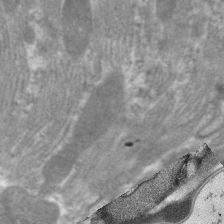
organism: C. elegans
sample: Pharynx